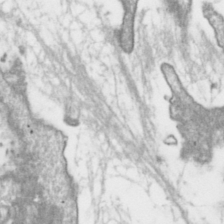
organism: Toxoplasma gondii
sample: Parasites in a vacuole inside a host cell